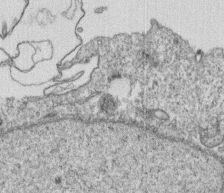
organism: Human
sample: HeLa cell HIV synapse